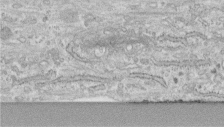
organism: Human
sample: Centriole in fibroblast cells